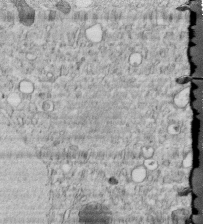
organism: C. elegans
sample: C. elegans embryo early stage